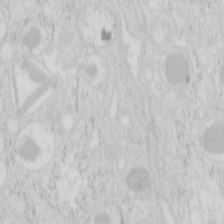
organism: Mouse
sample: Pancreas